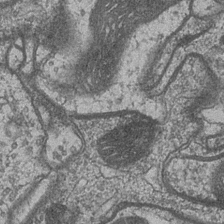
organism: Drosophila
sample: Optic medulla